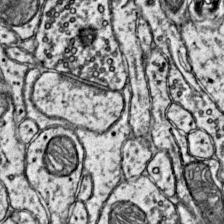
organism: Mouse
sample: Primary visual cortex